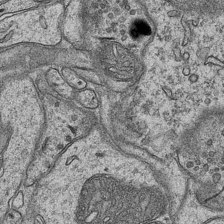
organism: Mouse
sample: CA1 Hippocampus